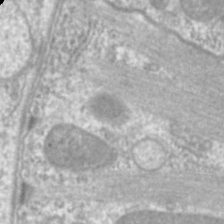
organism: C. elegans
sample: Pharynx